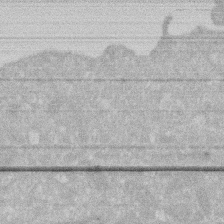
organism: Human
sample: HIV infected U937 cells